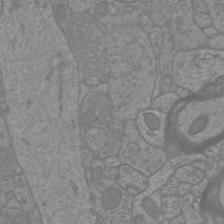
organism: Mouse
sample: Cortical neurons